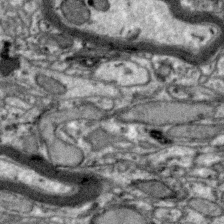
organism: Zebra finch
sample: Brain